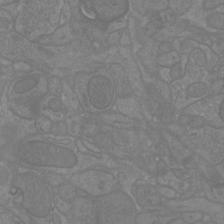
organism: Mouse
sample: Cortical neurons